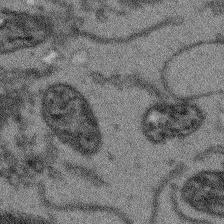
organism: Arabidopsis thaliana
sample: Root tip